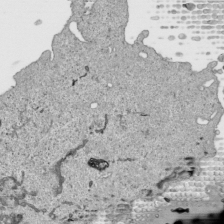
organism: Human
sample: Mitochondria in HCT116 cells